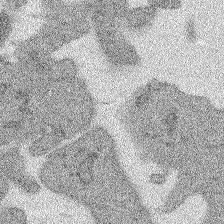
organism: Human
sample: HeLa cells